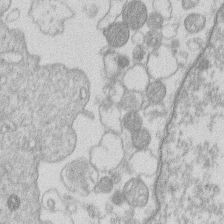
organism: Human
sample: Macrophage cells